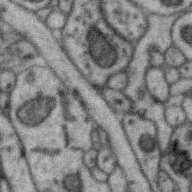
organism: Zebra finch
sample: Brain